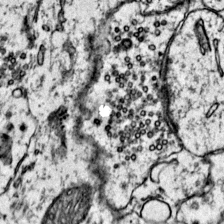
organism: Mouse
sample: Primary visual cortex